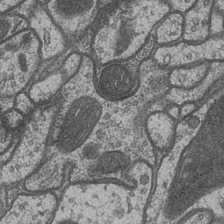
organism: Drosophila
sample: Optic medulla